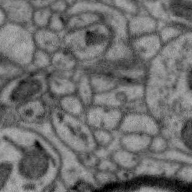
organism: Zebra finch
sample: Brain